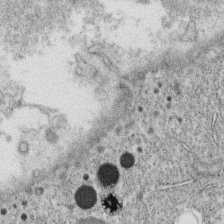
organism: C. elegans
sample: C. elegans oocyte; sperm cells